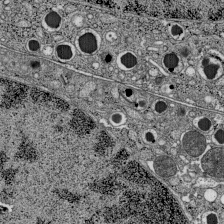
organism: C57BL Mouse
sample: Pancreatic islet